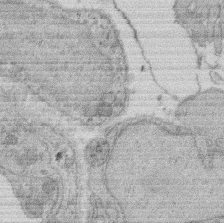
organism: Rat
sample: Salivary granule